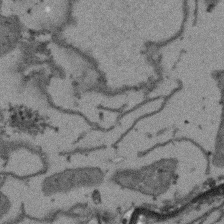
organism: Arabidopsis thaliana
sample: Root tip